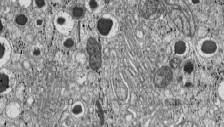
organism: C57BL Mouse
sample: Pancreatic islet